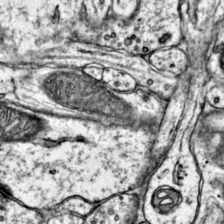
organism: Mouse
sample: Primary visual cortex